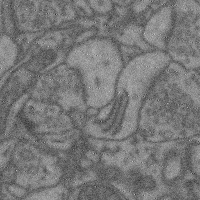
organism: Mouse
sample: Cerebral cortex